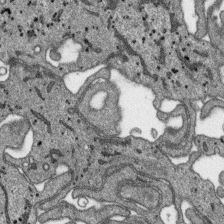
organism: Human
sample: Lung epithelial cells, uninfected (mock) control